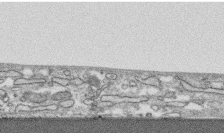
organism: Human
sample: CRL-1474